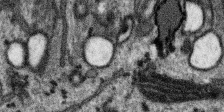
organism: Human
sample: Lung epithelial cells infected with SARS-CoV-2